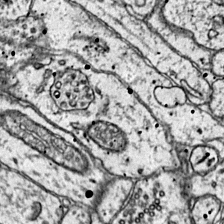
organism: Mouse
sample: Primary visual cortex